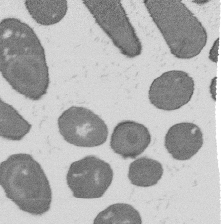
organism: B. subtilis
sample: Bacterial spore